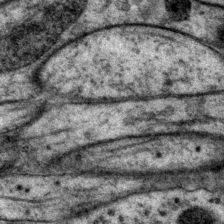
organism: P. pacificus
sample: Pharynx